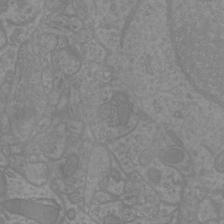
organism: Mouse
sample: Cortical neurons